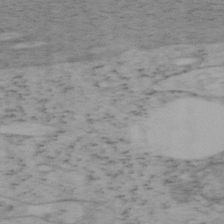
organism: Mouse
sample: OT-I killer T cells with ID8 ovarian cancer cells